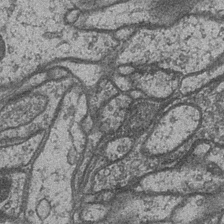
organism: Drosophila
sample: Optic medulla